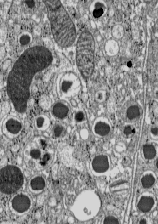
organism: C57BL Mouse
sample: Pancreatic islet